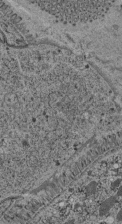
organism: C. elegans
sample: C. elegans pharynx